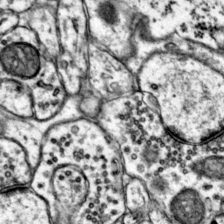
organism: Mouse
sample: Primary visual cortex